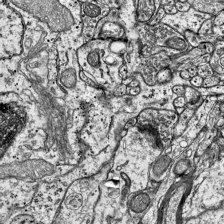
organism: Mouse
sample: Visual Cortex